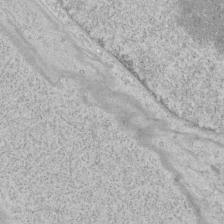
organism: Human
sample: Mitochondria in HCT116 cells